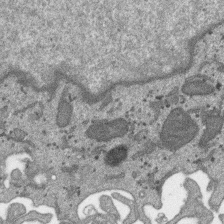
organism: Human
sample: Lung epithelial cells infected with SARS-CoV-2